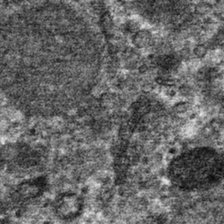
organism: Mouse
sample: Mouse hepatocytes